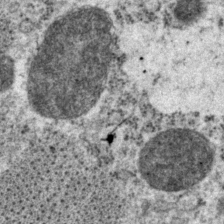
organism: P. pacificus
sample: Pharynx